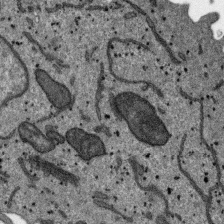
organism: Human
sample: Lung epithelial cells, uninfected (mock) control